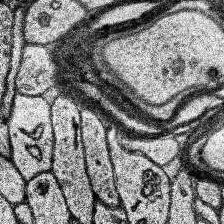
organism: Human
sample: Temporal Lobe